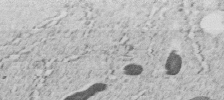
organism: C. elegans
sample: C. elegans embryo early stage